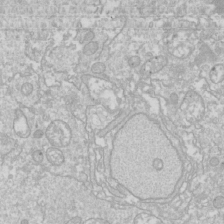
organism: Drosophila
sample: Cell division; meiosis; drosophila spermatocytes